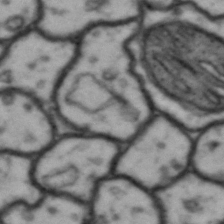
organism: Drosophila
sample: Brain